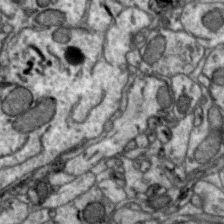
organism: Zebra finch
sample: Brain